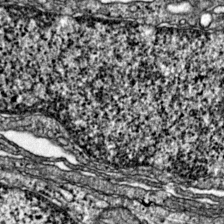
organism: Mouse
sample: Primary visual cortex